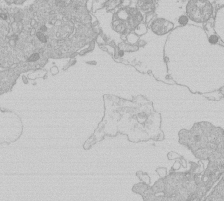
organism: Human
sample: Macrophage cells